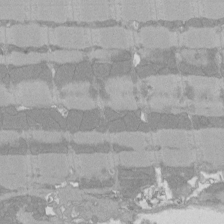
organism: Rat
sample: Left ventricle